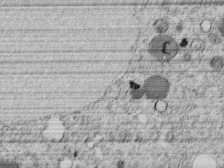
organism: C. elegans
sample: C. elegans embryo early stage